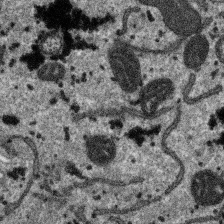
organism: Human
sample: Lung epithelial cells infected with SARS-CoV-2